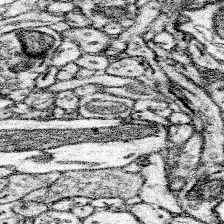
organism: Mouse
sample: Somatosensory cortex neuropil